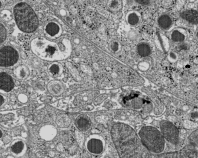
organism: C57BL Mouse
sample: Pancreatic islet